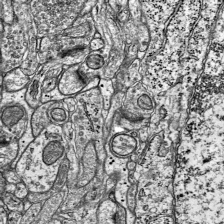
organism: Mouse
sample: Visual Cortex